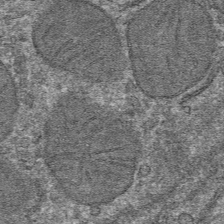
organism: Mouse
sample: Mouse hepatocytes